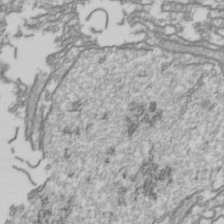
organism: Drosophila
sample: Cell division; meiosis; drosophila spermatocytes